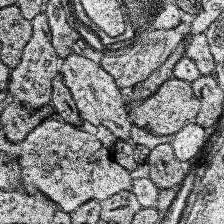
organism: Human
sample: Temporal Lobe